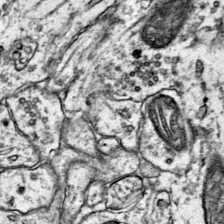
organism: Mouse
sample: Primary visual cortex